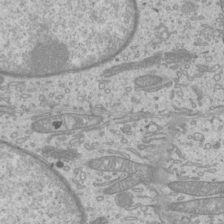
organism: Mouse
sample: Cilia; mouse epididymis